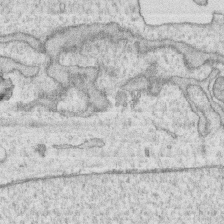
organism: Human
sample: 1205lu cells